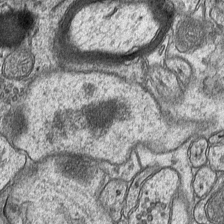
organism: Mouse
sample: CA1 Hippocampus